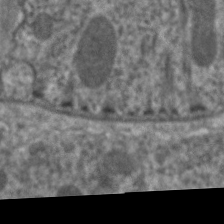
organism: C. elegans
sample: Pharynx